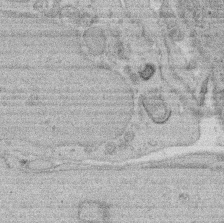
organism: Rat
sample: Salivary granule